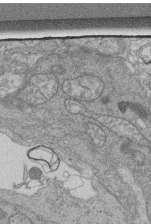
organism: Human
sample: Retinal organoid Rod and Cone cells